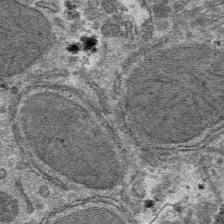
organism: Mouse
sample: Mouse hepatocytes